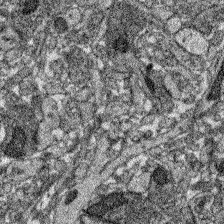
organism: Zebrafish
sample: Larval olfactory bulb